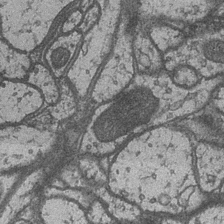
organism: Drosophila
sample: Optic medulla